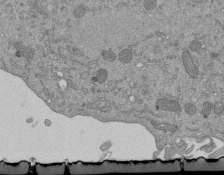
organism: Mouse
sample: ED-1 cell nuclei; centrioles